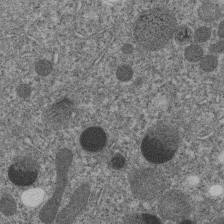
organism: C. elegans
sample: C. elegans embryo early stage